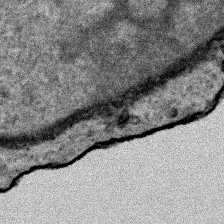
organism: Human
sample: Mitochondria in HCT116 cells